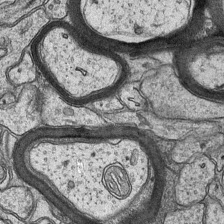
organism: Mouse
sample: CA1 Hippocampus